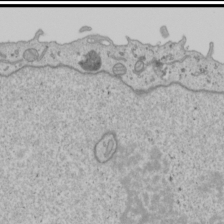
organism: Human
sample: Mitochondria in U2OS cells